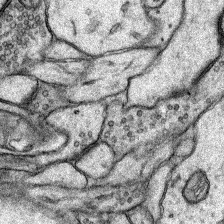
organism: Rat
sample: Hippocampus